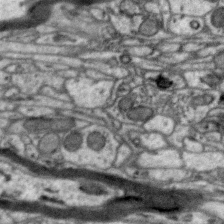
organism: Zebra finch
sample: Brain